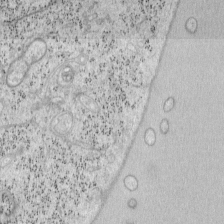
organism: Mouse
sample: OT-I killer T cells with ID8 ovarian cancer cells